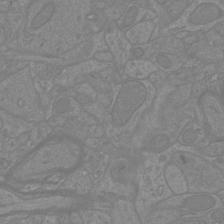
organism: Mouse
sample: Cortical neurons